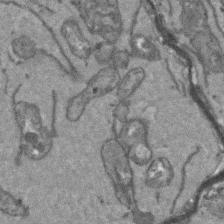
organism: Arabidopsis thaliana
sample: Root tip